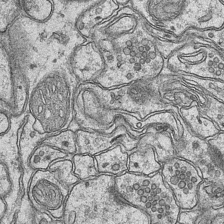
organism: Mouse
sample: CA1 Hippocampus